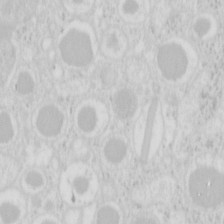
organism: Mouse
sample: Pancreas